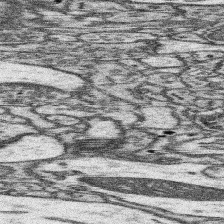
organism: Mouse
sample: Somatosensory cortex neuropil